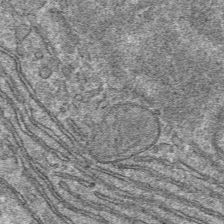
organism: Mouse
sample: Mouse hepatocytes